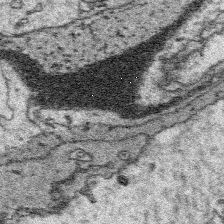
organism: Platynereis dumerilii